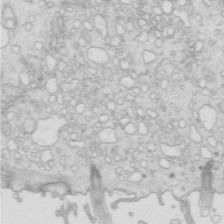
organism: Mouse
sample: Multiciliated cells